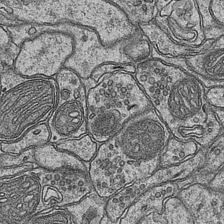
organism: Mouse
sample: CA1 Hippocampus